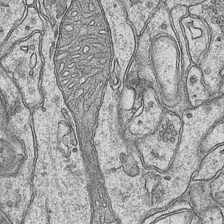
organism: Mouse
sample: CA1 Hippocampus